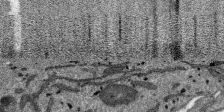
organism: Human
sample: Lung epithelial cells, uninfected (mock) control